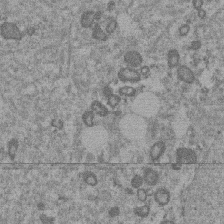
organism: Mouse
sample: Dividing mouse embryo 1 cell stage